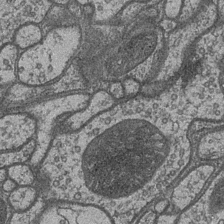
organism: Drosophila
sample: Optic medulla